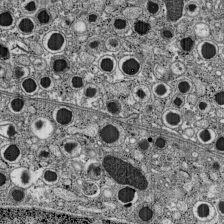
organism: C57BL Mouse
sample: Pancreatic islet